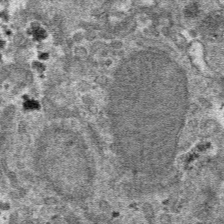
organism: Mouse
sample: Mouse hepatocytes